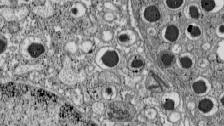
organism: C57BL Mouse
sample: Pancreatic islet